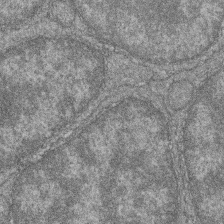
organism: Zebrafish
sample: Cilia; retinal pigment epithelium